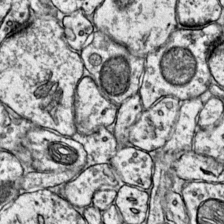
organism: Mouse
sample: Primary visual cortex